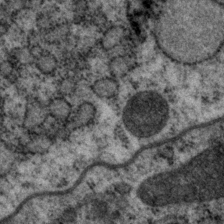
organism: P. pacificus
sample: Pharynx